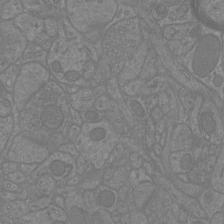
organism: Mouse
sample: Cortical neurons